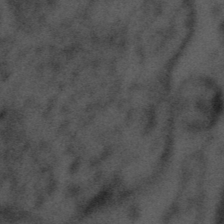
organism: Tuwongella immobilis